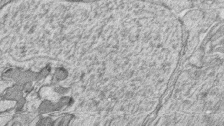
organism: Zebrafish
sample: synaptic ribbons in rod cells and cone cells